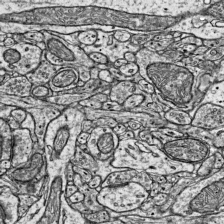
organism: Mouse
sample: Visual Cortex